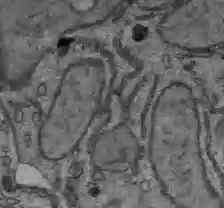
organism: C57BL Mouse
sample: Liver